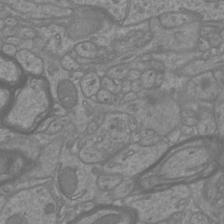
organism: Mouse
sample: Cortical neurons